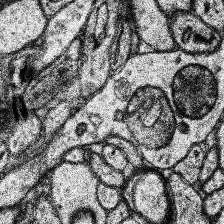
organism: Human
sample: Temporal Lobe